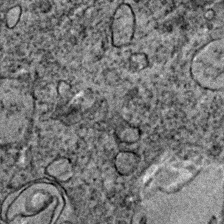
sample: Trachea